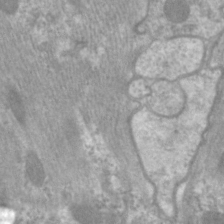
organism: C. elegans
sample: Pharynx